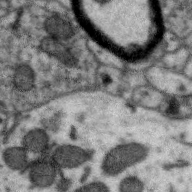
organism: Zebra finch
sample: Brain